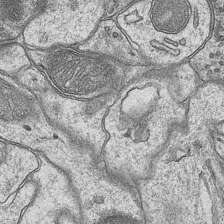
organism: Mouse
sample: CA1 Hippocampus